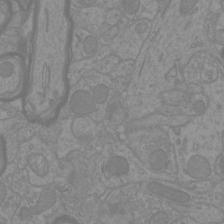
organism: Mouse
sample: Cortical neurons